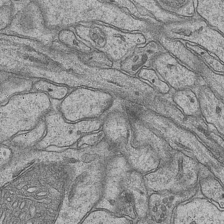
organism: Mouse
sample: CA1 Hippocampus